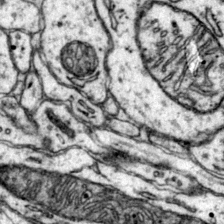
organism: Mouse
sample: Primary visual cortex